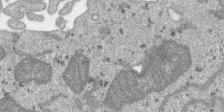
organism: Human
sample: Lung epithelial cells infected with SARS-CoV-2